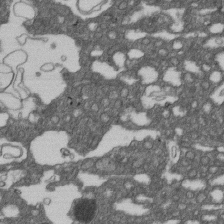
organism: Drosophila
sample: Nephrocyte